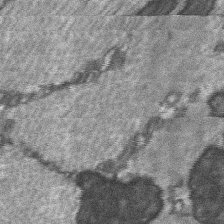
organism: C57BL Mouse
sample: Soleus